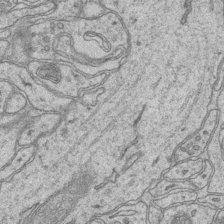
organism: Mouse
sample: CA1 Hippocampus